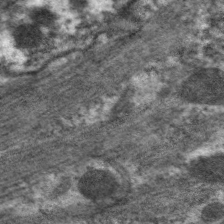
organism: C. elegans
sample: Pharynx